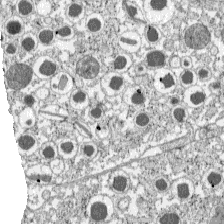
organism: C57BL Mouse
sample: Pancreatic islet